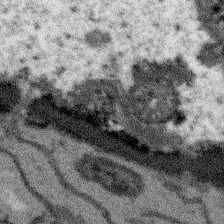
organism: Arabidopsis thaliana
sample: Root tip